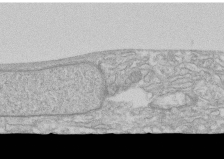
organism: Human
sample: CRL-1474